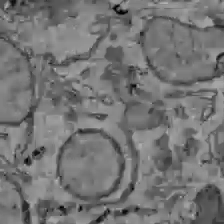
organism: C57BL Mouse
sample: Liver